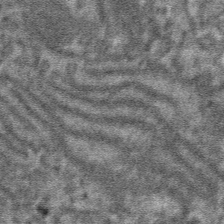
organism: Mouse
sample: Mouse hepatocytes